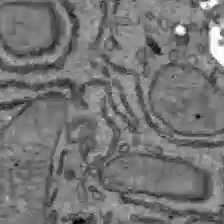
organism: C57BL Mouse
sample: Liver